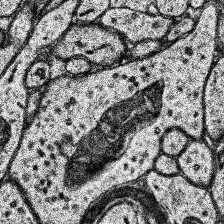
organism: Human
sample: Temporal Lobe